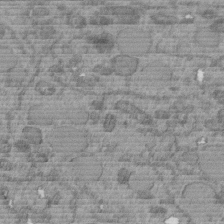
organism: C. elegans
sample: C. elegans embryo early stage